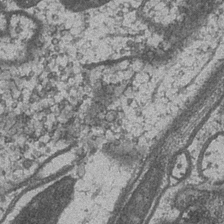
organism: Drosophila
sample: Optic medulla